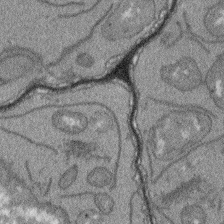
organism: Arabidopsis thaliana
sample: Root tip